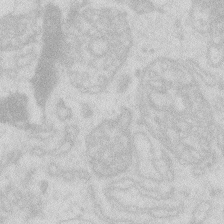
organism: Zebrafish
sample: Macrophage